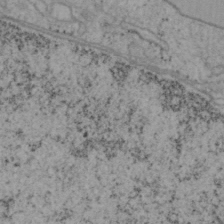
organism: Human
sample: HeLa cells